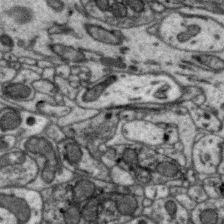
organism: Zebra finch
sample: Brain